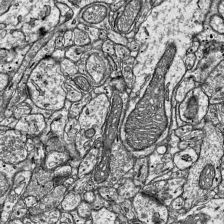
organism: Mouse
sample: Visual Cortex